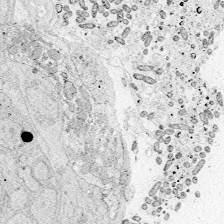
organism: Zebrafish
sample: Whole-Brain